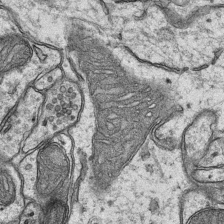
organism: Mouse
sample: CA1 Hippocampus